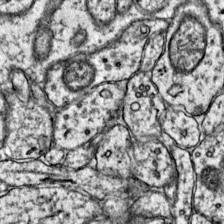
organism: Mouse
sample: Primary visual cortex